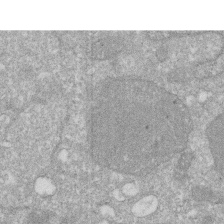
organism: Human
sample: HIV infected U937 cells